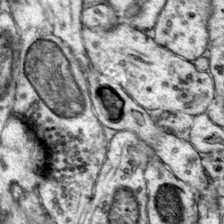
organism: Mouse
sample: Primary visual cortex